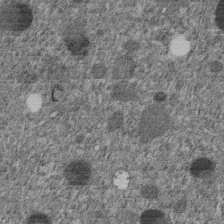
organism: C. elegans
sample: C. elegans embryo early stage